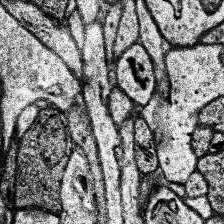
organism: Human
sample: Temporal Lobe